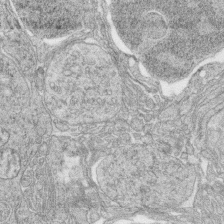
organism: Zebrafish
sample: synaptic ribbons in rod cells and cone cells